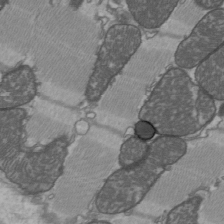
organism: C57BL Mouse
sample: Heart